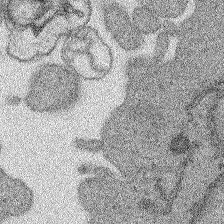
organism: Human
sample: HeLa cells